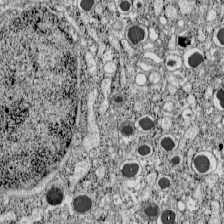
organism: C57BL Mouse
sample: Pancreatic islet